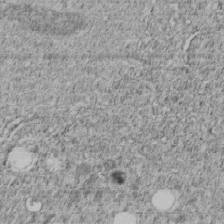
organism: C. elegans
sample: C. elegans embryo early stage